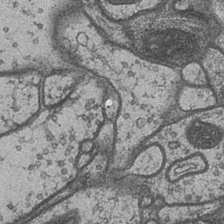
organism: Drosophila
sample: Optic medulla